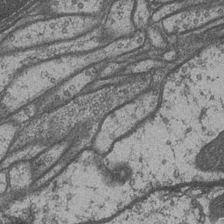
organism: Drosophila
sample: Optic medulla